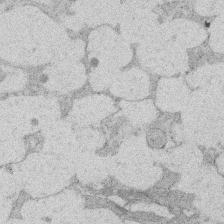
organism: Rat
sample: Salivary granule